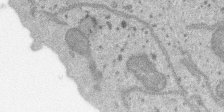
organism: Human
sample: Lung epithelial cells infected with SARS-CoV-2